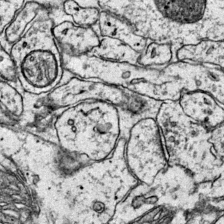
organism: Mouse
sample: Primary visual cortex